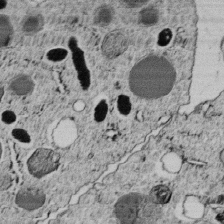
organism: C. elegans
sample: C. elegans embryo early stage